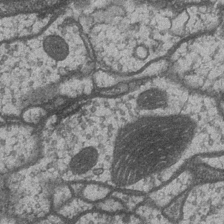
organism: Drosophila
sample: Optic medulla